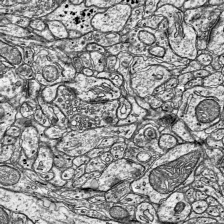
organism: Mouse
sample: Visual Cortex